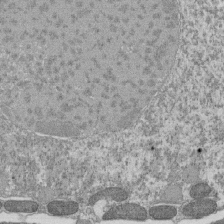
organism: Tetrahymena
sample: Cilia in tetrahymena